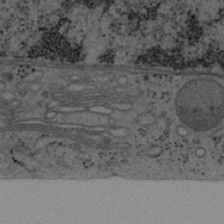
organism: Human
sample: HeLa cells